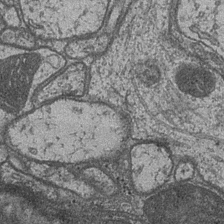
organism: Drosophila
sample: Optic medulla